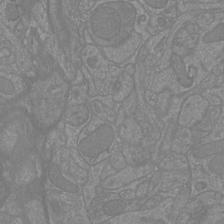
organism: Mouse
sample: Cortical neurons